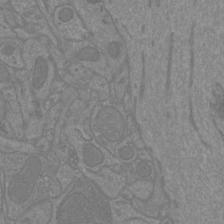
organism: Mouse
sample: Cortical neurons